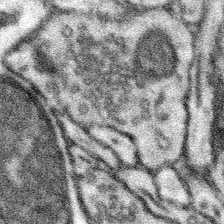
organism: Mouse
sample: Somatosensory cortex neuropil